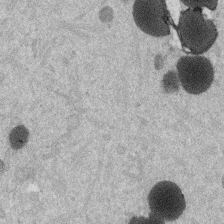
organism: Mouse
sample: Dividing mouse embryo 1 cell stage